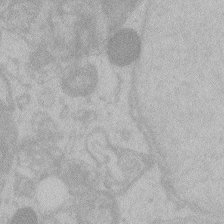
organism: Zebrafish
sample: Macrophage infected with Toxoplasma gondii